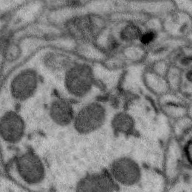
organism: Zebra finch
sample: Brain